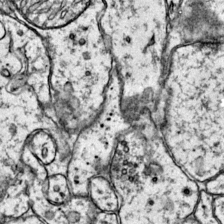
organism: Mouse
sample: Primary visual cortex